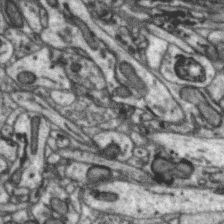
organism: Zebra finch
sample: Brain